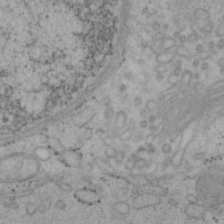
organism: Human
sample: HeLa cells